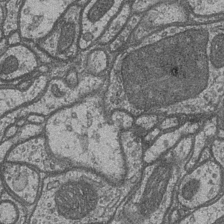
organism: Drosophila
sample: Optic medulla